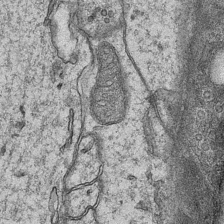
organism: Mouse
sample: CA1 Hippocampus